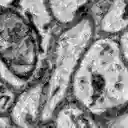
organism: Zebrafish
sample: Brain